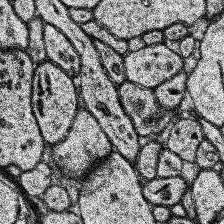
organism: Human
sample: Temporal Lobe